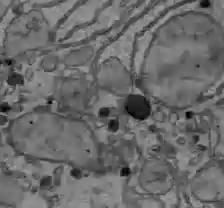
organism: C57BL Mouse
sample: Liver